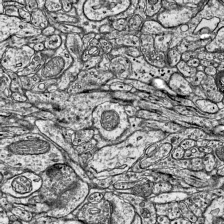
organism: Mouse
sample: Visual Cortex